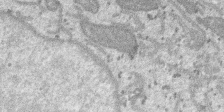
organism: Human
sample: Lung epithelial cells infected with SARS-CoV-2